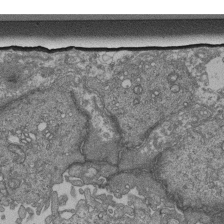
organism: Human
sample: Retinal organoid Rod and Cone cells